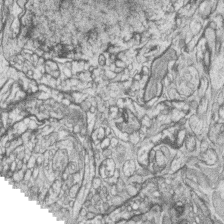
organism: Zebrafish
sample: synaptic ribbons in rod cells and cone cells